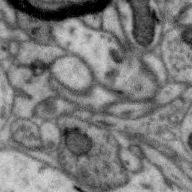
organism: Zebra finch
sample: Brain